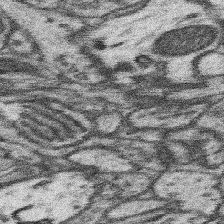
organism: Mouse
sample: Somatosensory cortex neuropil